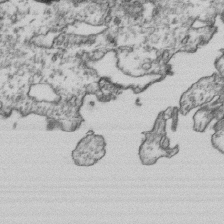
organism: Human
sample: Activated Jurkat CD4+ T cells